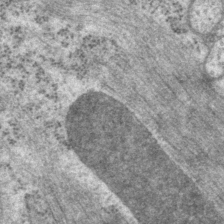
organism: P. pacificus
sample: Pharynx